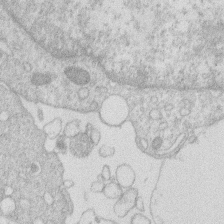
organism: Human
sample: Macrophage cells